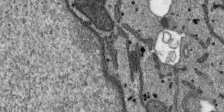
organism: Human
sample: Lung epithelial cells, uninfected (mock) control